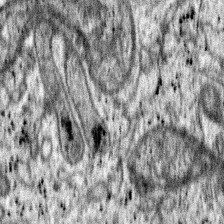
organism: Human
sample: HeLa cells